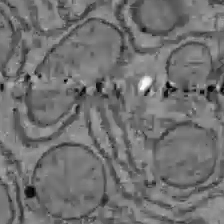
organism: C57BL Mouse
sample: Liver